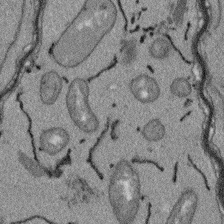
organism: Arabidopsis thaliana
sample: Root tip